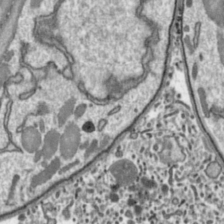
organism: Toxoplasma gondii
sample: Parasites in a vacuole inside a host cell